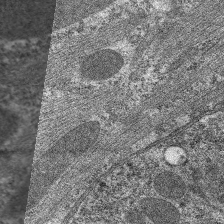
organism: C. elegans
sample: Pharynx